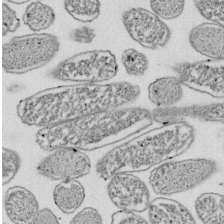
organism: E. coli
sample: Bacterial nucleoid